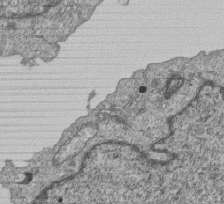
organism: Human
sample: MDA-MB-231 cells